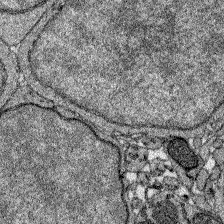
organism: Zebrafish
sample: Larval olfactory bulb